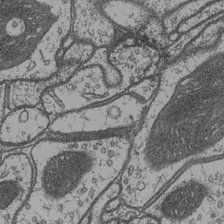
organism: Drosophila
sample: Optic medulla